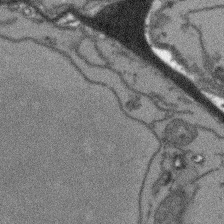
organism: Arabidopsis thaliana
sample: Root tip